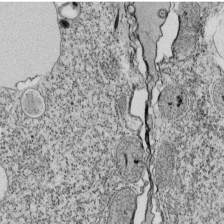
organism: Tetrahymena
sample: Cilia in tetrahymena